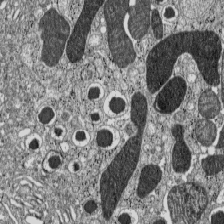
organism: C57BL Mouse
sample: Pancreatic islet